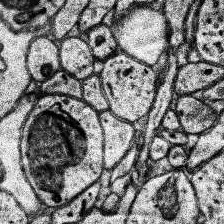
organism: Human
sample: Temporal Lobe